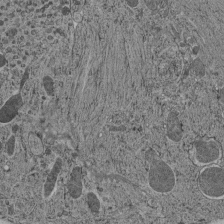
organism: C. elegans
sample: C. elegans pharynx